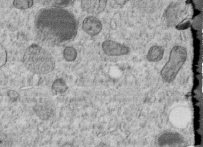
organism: C. elegans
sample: C. elegans embryo early stage